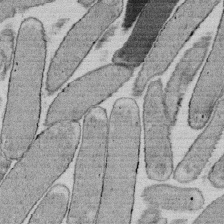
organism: E. coli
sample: Bacterial nucleoid